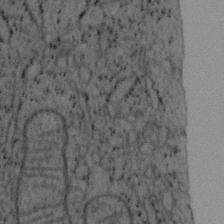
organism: Human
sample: HeLa cells